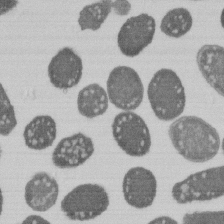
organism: E. coli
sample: Bacterial nucleoid